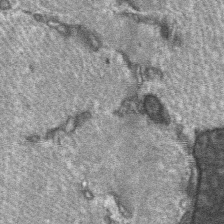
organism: C57BL Mouse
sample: Soleus